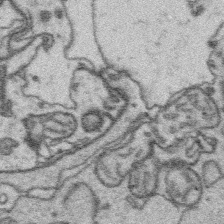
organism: Platynereis dumerilii